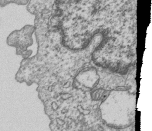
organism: Human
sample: MDA-MB-231 cells